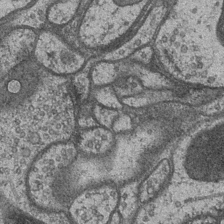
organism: Drosophila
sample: Optic medulla